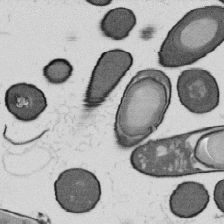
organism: B. subtilis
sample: Bacterial spore